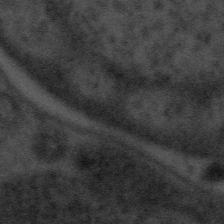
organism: Tuwongella immobilis